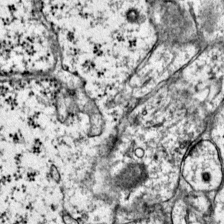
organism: Mouse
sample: Primary visual cortex